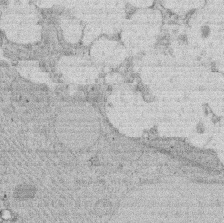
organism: Rat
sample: Salivary granule